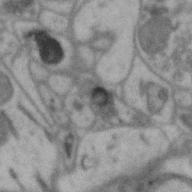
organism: Zebra finch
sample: Brain